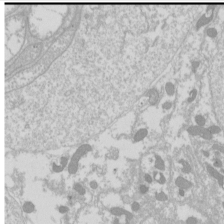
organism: Drosophila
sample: Cell division; meiosis; drosophila spermatocytes